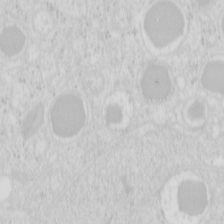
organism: Mouse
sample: Pancreas